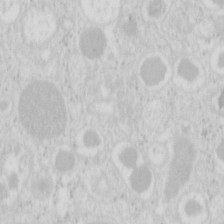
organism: Mouse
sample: Pancreas